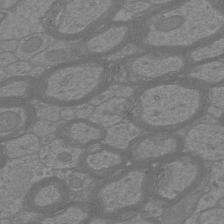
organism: Mouse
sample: Cortical neurons